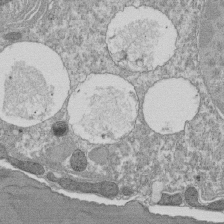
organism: Tetrahymena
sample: Cilia in tetrahymena